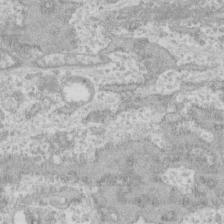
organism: Human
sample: CRL-1474